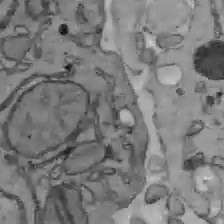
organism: C57BL Mouse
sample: Liver